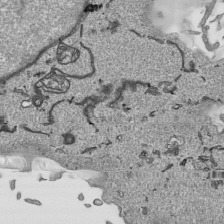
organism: Human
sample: Mitochondria in HCT116 cells